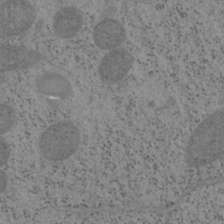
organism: Mouse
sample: OT-I killer T cells with ID8 ovarian cancer cells